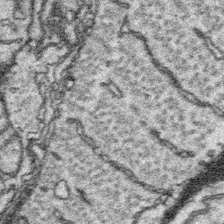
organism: Platynereis dumerilii